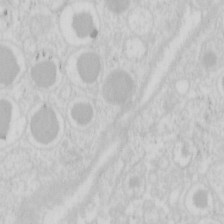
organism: Mouse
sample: Pancreas